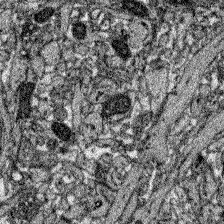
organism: Zebrafish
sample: Larval olfactory bulb